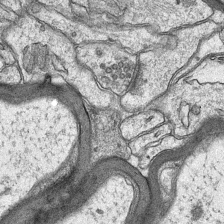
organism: Mouse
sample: CA1 Hippocampus